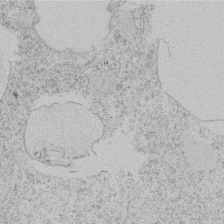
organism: Tetrahymena